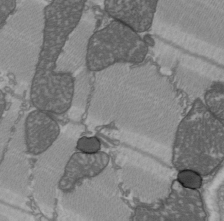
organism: C57BL Mouse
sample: Heart